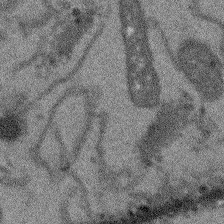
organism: Arabidopsis thaliana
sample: Root tip